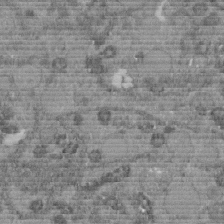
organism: C. elegans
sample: C. elegans embryo early stage